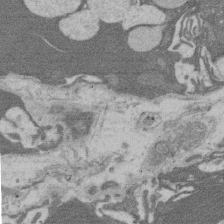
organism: Rat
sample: Salivary granule